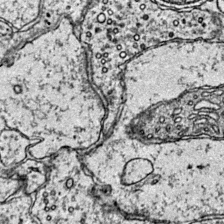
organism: Mouse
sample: Primary visual cortex